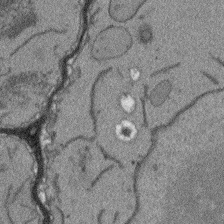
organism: Arabidopsis thaliana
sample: Root tip